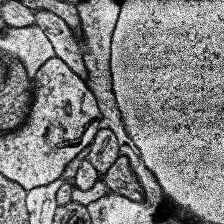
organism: Human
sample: Temporal Lobe